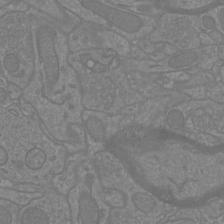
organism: Mouse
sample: Cortical neurons